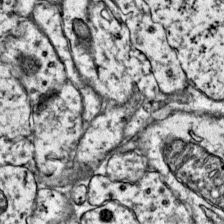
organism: Mouse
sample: Primary visual cortex